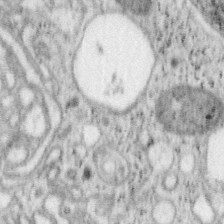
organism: Mouse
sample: OT-I killer T cells with ID8 ovarian cancer cells